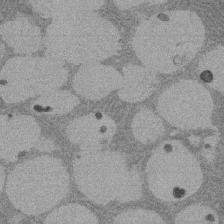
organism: Rat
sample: Salivary granule